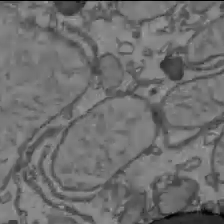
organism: C57BL Mouse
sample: Liver